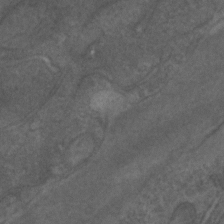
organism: C. elegans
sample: C. elegans embryo